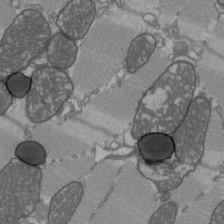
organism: C57BL Mouse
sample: Heart